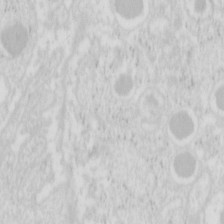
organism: Mouse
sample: Pancreas